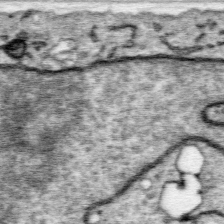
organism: Human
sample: HeLa cells